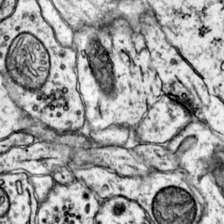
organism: Mouse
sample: Primary visual cortex